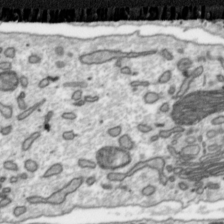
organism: Toxoplasma gondii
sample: Parasites in a vacuole inside a host cell